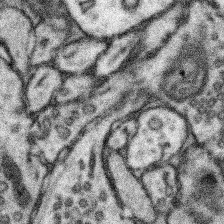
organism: Mouse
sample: Somatosensory cortex neuropil